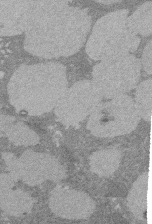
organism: Rat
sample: Salivary granule